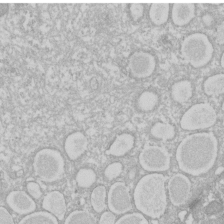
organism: Xenopus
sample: Cilia; centrioles in frog embryo cells